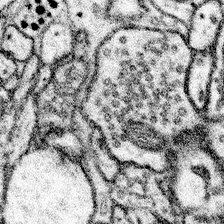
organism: Mouse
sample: Somatosensory cortex neuropil